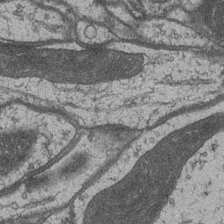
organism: Drosophila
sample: Optic medulla